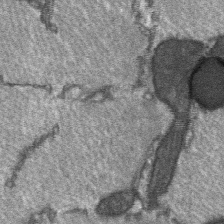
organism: C57BL Mouse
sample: Soleus